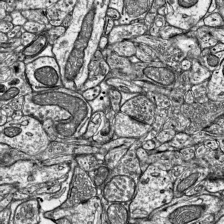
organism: Mouse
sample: Visual Cortex